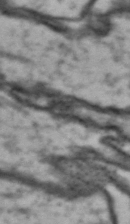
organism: Drosophila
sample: Brain